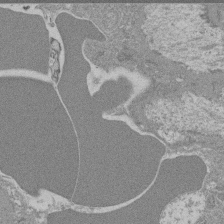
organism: Mouse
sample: Glomerulus